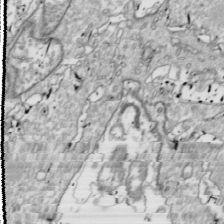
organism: Drosophila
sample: Cell division; meiosis; drosophila spermatocytes